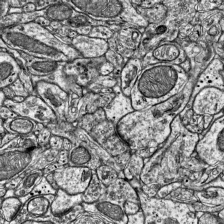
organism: Mouse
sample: Visual Cortex